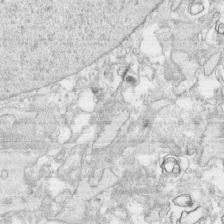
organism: Human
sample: CRL-1474